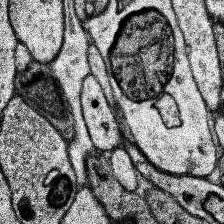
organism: Human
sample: Temporal Lobe